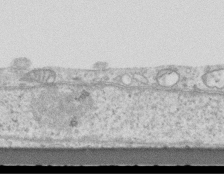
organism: Mouse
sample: Centriole in ependymal cells